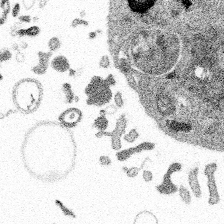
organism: Spongilla lacustris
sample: Multiple